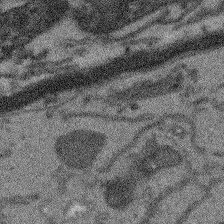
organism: Arabidopsis thaliana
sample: Root tip